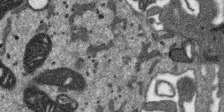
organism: Human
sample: Lung epithelial cells infected with SARS-CoV-2